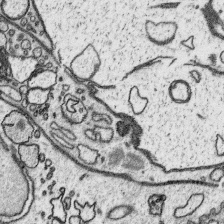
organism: Platynereis dumerilii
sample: Parapodia